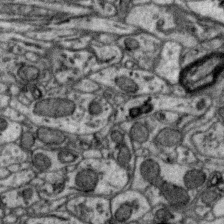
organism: Zebra finch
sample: Brain